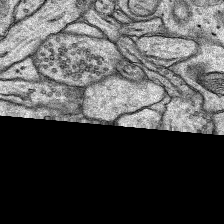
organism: Rat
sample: Hippocampus